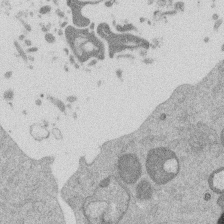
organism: Mouse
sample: Dividing mouse embryo 1 cell stage